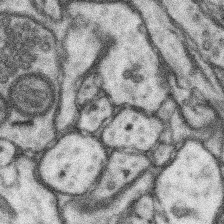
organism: Mouse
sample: Somatosensory cortex neuropil